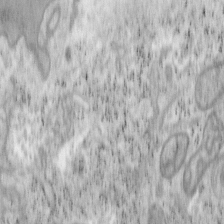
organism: Human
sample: HeLa cells